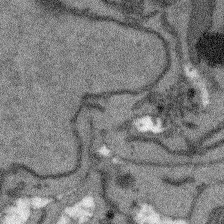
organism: Arabidopsis thaliana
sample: Root tip